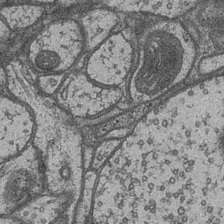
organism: Drosophila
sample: Optic medulla